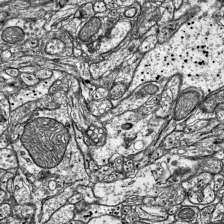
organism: Mouse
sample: Visual Cortex